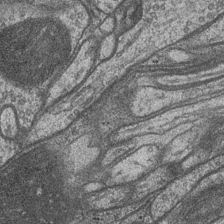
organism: Drosophila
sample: Optic medulla